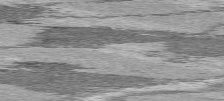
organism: C57BL Mouse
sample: Heart